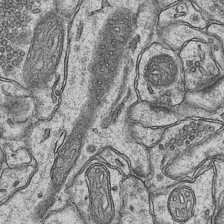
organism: Mouse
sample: CA1 Hippocampus